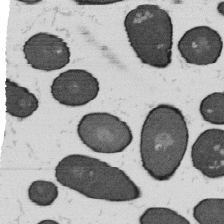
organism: B. subtilis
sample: Bacterial spore